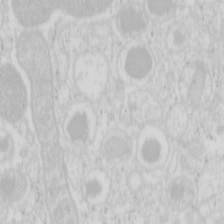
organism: Mouse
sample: Pancreas